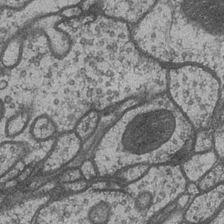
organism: Drosophila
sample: Optic medulla